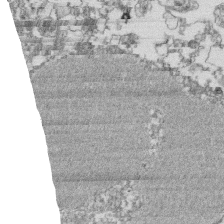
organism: Human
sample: HeLa cell HIV synapse